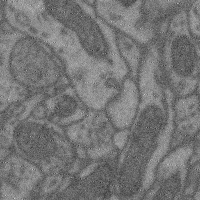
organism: Mouse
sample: Cerebral cortex